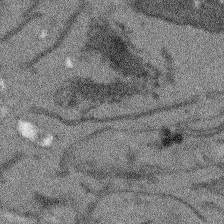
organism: Arabidopsis thaliana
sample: Root tip